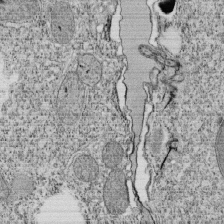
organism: Tetrahymena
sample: Cilia in tetrahymena